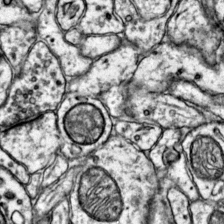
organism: Mouse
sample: Primary visual cortex